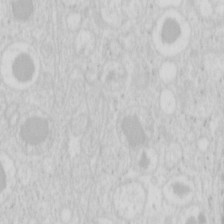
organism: Mouse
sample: Pancreas